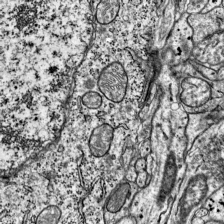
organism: Mouse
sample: Visual Cortex